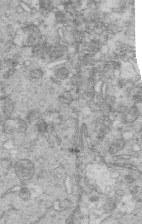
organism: Mouse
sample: Multiciliated cells